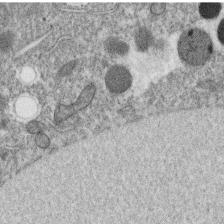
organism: C. elegans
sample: C. elegans oocyte; sperm cells